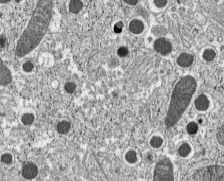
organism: C57BL Mouse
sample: Pancreatic islet